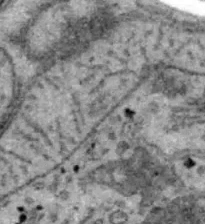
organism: Mouse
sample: Liver from an obese (ob/ob) mouse